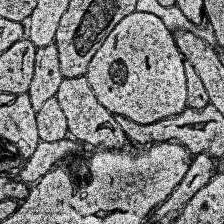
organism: Human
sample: Temporal Lobe